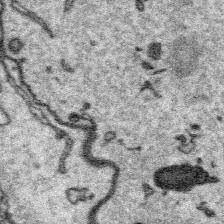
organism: Platynereis dumerilii